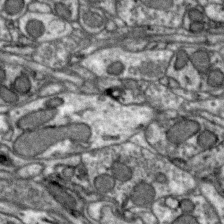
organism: Zebra finch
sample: Brain